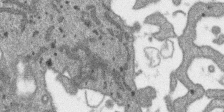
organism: Human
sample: Lung epithelial cells infected with SARS-CoV-2